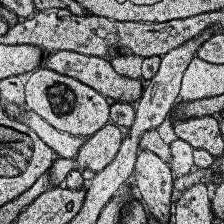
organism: Human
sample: Temporal Lobe